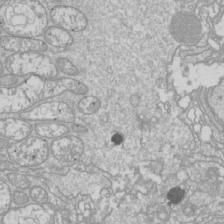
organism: Drosophila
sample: Cell division; meiosis; drosophila spermatocytes